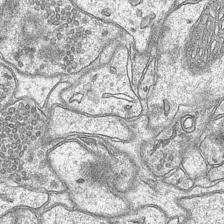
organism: Mouse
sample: CA1 Hippocampus